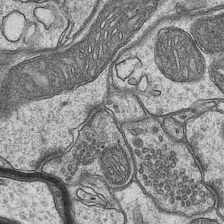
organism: Mouse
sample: CA1 Hippocampus